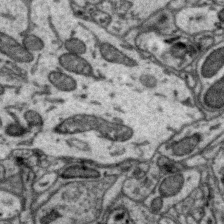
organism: Zebra finch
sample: Brain